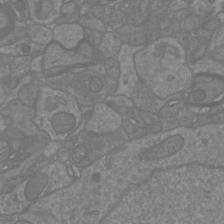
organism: Mouse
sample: Cortical neurons